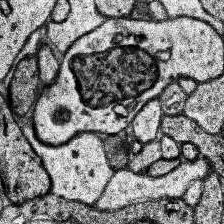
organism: Human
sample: Temporal Lobe